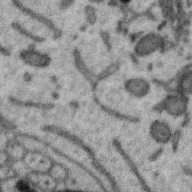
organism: Zebra finch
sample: Brain